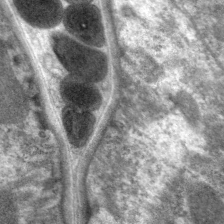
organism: C. elegans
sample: Pharynx